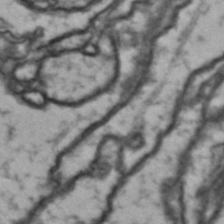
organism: Drosophila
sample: Brain